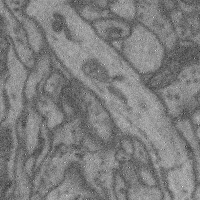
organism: Mouse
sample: Cerebral cortex